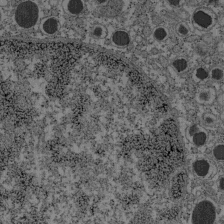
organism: C57BL Mouse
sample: Pancreatic islet